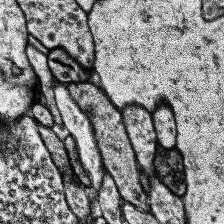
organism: Human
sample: Temporal Lobe